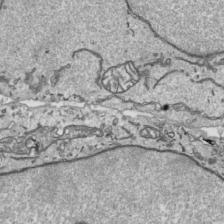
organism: Human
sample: Mitochondria in HCT116 cells